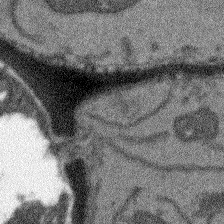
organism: Arabidopsis thaliana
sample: Root tip